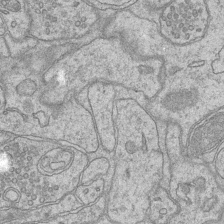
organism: Mouse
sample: CA1 Hippocampus